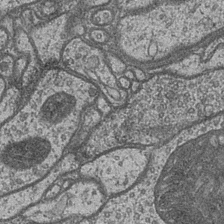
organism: Drosophila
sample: Optic medulla